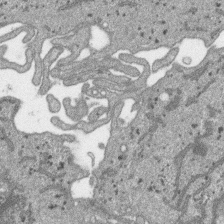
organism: Human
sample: Lung epithelial cells infected with SARS-CoV-2